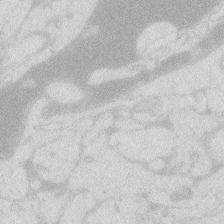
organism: Zebrafish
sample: Macrophage